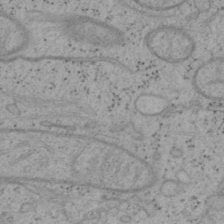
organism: Human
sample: HeLa cells